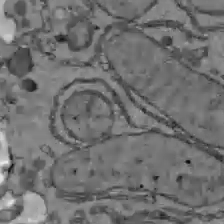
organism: C57BL Mouse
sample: Liver